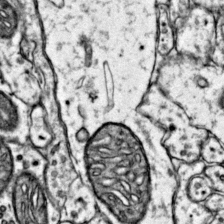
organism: Mouse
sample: Primary visual cortex